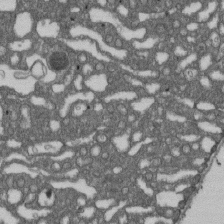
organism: Drosophila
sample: Nephrocyte